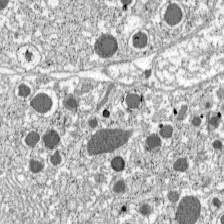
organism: C57BL Mouse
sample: Pancreatic islet